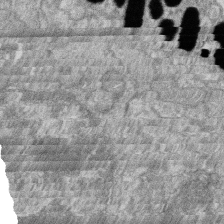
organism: Zebrafish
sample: Cilia; retinal pigment epithelium